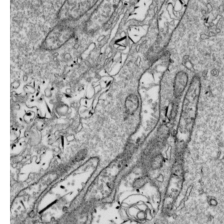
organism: Drosophila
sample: Cell division; meiosis; drosophila spermatocytes